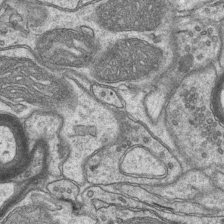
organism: Mouse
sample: CA1 Hippocampus